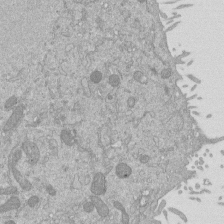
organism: Mouse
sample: ED-1 cell nuclei; centrioles